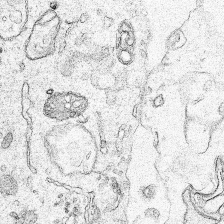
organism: Human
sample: Mitochondria in HCT116 cells